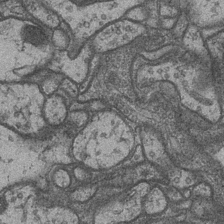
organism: Drosophila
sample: Optic medulla